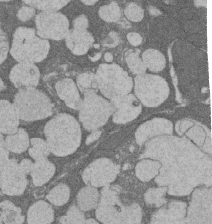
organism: Rat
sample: Salivary granule